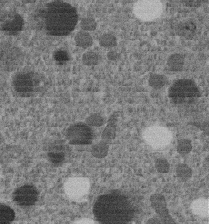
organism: C. elegans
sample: C. elegans embryo early stage